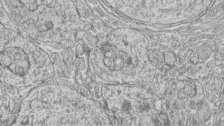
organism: Zebrafish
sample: synaptic ribbons in rod cells and cone cells